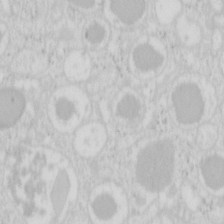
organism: Mouse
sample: Pancreas